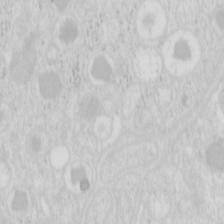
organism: Mouse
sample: Pancreas